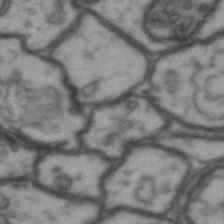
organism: Drosophila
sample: Brain